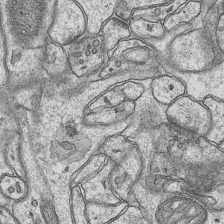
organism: Mouse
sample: CA1 Hippocampus